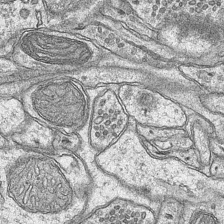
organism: Mouse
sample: CA1 Hippocampus